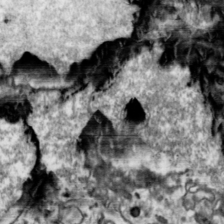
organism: Toxoplasma gondii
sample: Parasites in a vacuole inside a host cell